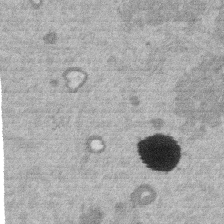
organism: Mouse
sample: Dividing mouse embryo 1 cell stage